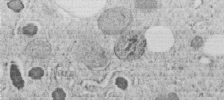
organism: C. elegans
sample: C. elegans embryo early stage